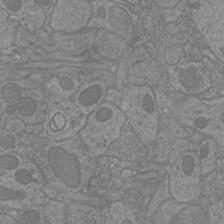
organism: Mouse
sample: Cortical neurons